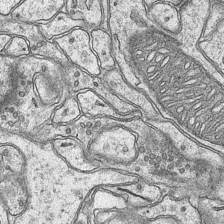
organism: Mouse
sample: CA1 Hippocampus